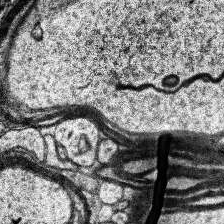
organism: Human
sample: Temporal Lobe